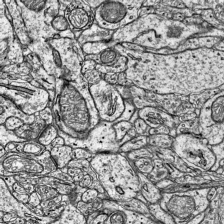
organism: Mouse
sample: Visual Cortex